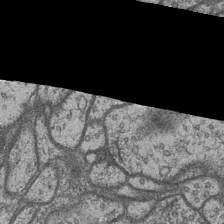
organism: Drosophila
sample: Optic medulla